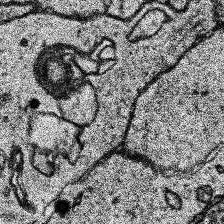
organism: Human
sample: Temporal Lobe